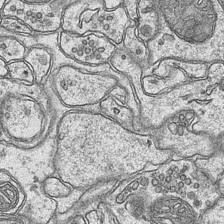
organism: Mouse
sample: CA1 Hippocampus